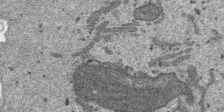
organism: Human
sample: Lung epithelial cells infected with SARS-CoV-2